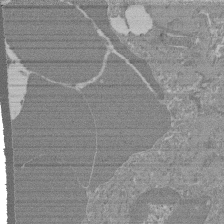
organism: Mouse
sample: Glomerulus